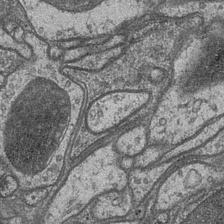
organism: Drosophila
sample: Optic medulla